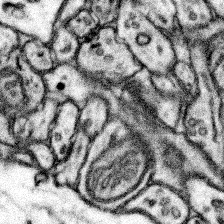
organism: Mouse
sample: Somatosensory cortex neuropil